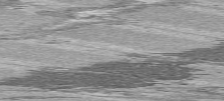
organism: C57BL Mouse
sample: Heart